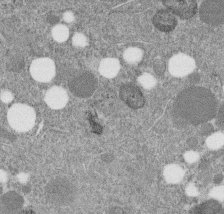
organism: C. elegans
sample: C. elegans embryo early stage